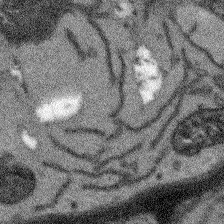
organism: Arabidopsis thaliana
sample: Root tip